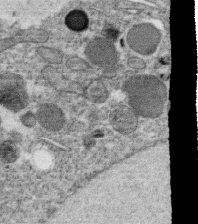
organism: C. elegans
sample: C. elegans oocyte; sperm cells